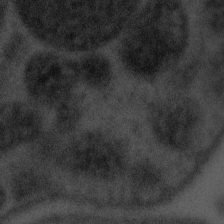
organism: Tuwongella immobilis